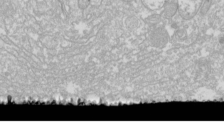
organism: Drosophila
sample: Cell division; meiosis; drosophila spermatocytes